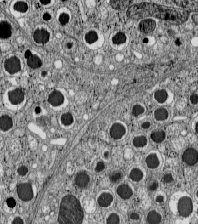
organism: C57BL Mouse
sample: Pancreatic islet